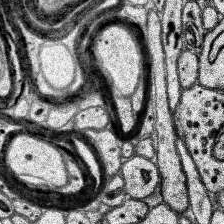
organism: Human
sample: Temporal Lobe